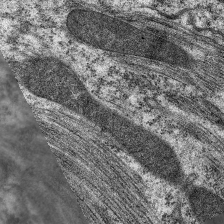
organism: C. elegans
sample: Pharynx